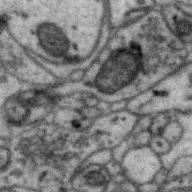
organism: Zebra finch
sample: Brain